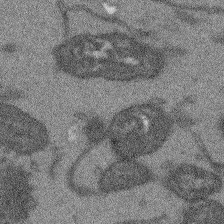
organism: Arabidopsis thaliana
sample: Root tip